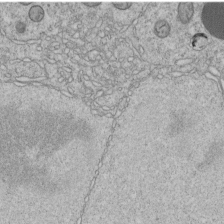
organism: C. elegans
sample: C. elegans embryo early stage